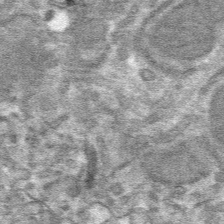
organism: Mouse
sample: Mouse hepatocytes